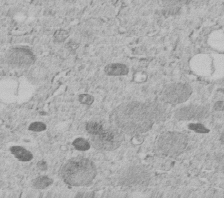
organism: C. elegans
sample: C. elegans embryo early stage